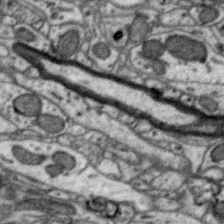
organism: Zebra finch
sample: Brain